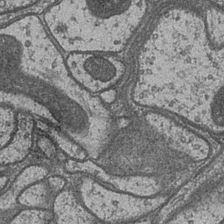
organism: Drosophila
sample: Optic medulla